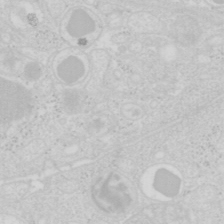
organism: Mouse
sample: Pancreas